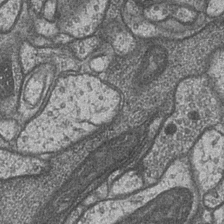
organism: Drosophila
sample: Optic medulla